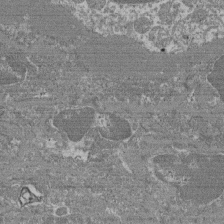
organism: Mouse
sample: Glomerulus